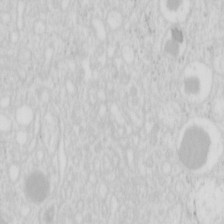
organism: Mouse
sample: Pancreas